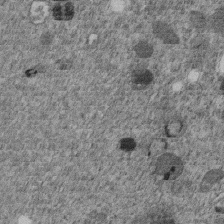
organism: C. elegans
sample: C. elegans embryo early stage